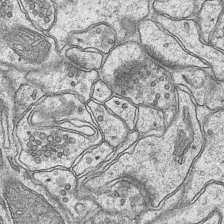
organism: Mouse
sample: CA1 Hippocampus